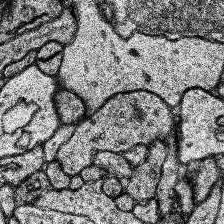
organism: Human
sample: Temporal Lobe